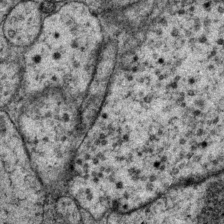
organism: P. pacificus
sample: Pharynx